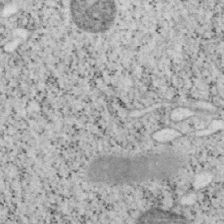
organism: Mouse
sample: OT-I killer T cells with ID8 ovarian cancer cells